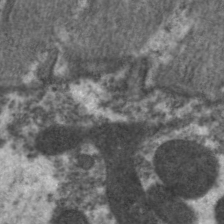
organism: C. elegans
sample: Pharynx